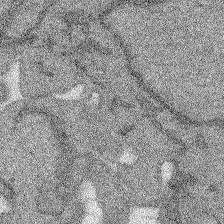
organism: Human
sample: HeLa cells